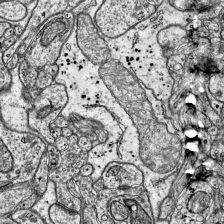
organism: Mouse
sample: Visual Cortex